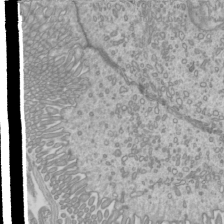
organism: Mouse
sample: Cilia; mouse epididymis